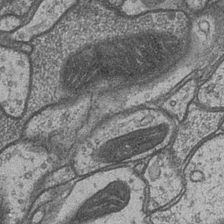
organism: Drosophila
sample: Optic medulla